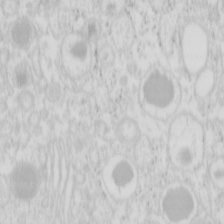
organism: Mouse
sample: Pancreas